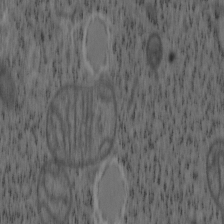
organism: Human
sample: HeLa cells